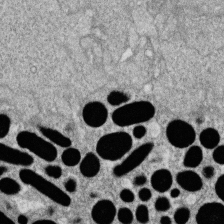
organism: Zebrafish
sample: Cilia; retinal pigment epithelium